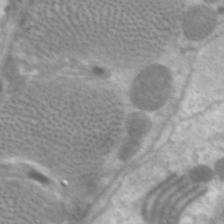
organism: C. elegans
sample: Pharynx